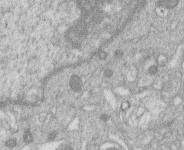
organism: Human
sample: Macrophage cells